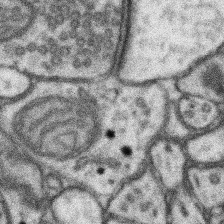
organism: Mouse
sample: Somatosensory cortex neuropil